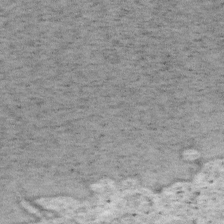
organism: Mouse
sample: OT-I killer T cells with ID8 ovarian cancer cells